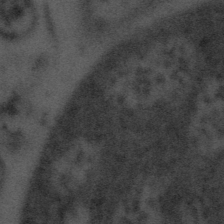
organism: Tuwongella immobilis